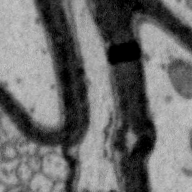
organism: Zebra finch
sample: Brain